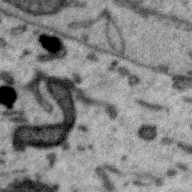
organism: Zebra finch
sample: Brain